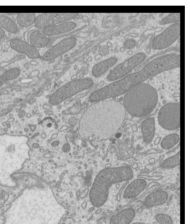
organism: Mouse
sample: Cilia; mouse epididymis